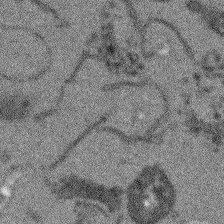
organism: Arabidopsis thaliana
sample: Root tip